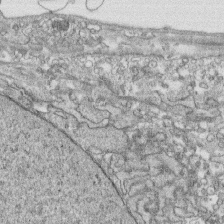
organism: Human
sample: CRL-1474